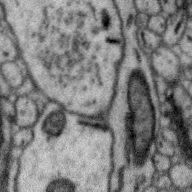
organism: Zebra finch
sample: Brain